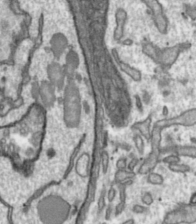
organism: Toxoplasma gondii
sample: Parasites in a vacuole inside a host cell